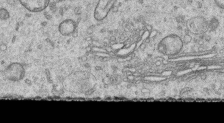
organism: Human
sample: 1205lu cells